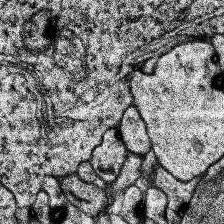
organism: Human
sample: Temporal Lobe